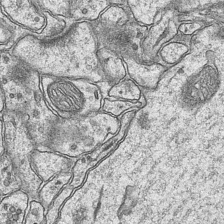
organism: Mouse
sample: CA1 Hippocampus